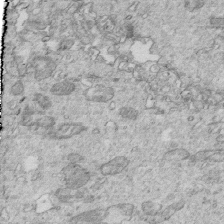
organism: Mouse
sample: Multiciliated cells